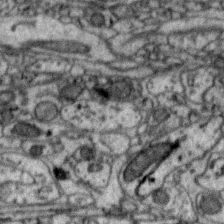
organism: Zebra finch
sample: Brain